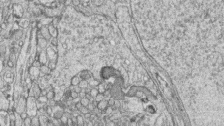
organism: Zebrafish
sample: synaptic ribbons in rod cells and cone cells